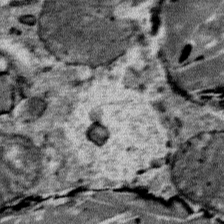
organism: Mouse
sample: Mouse Salivary gland